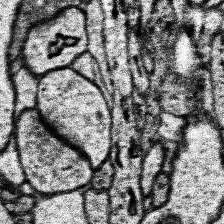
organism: Human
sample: Temporal Lobe